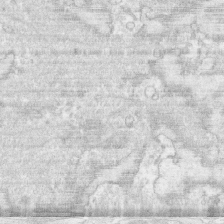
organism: Human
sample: CRL-1474